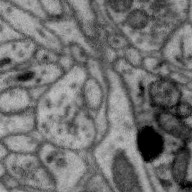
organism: Zebra finch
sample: Brain